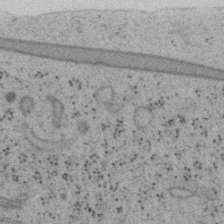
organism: Human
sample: HeLa cells